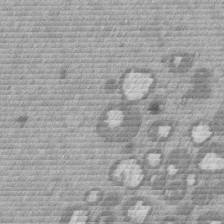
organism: Mouse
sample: Dividing mouse embryo 1 cell stage